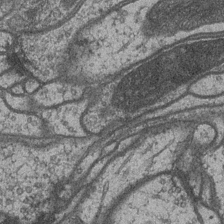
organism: Drosophila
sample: Optic medulla